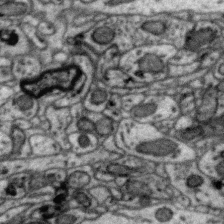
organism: Zebra finch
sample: Brain